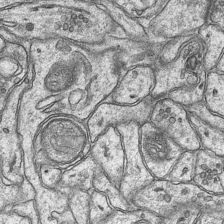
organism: Mouse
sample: CA1 Hippocampus